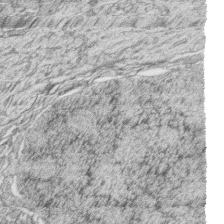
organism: Zebrafish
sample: synaptic ribbons in rod cells and cone cells